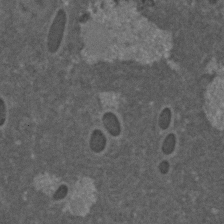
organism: C. elegans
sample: C. elegans embryo